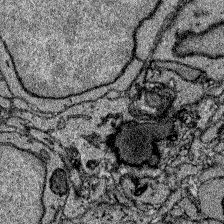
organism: Zebrafish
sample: Larval olfactory bulb